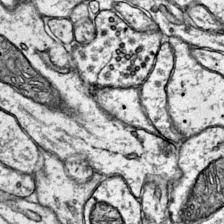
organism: Mouse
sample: Primary visual cortex